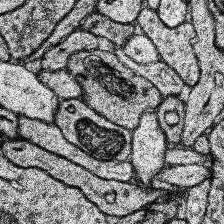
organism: Human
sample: Temporal Lobe